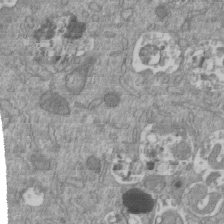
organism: Mouse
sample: ED-1 cell nuclei; centrioles